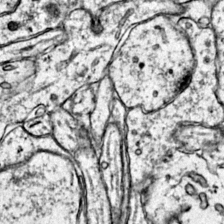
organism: Mouse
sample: Primary visual cortex